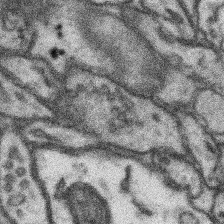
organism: Mouse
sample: Somatosensory cortex neuropil